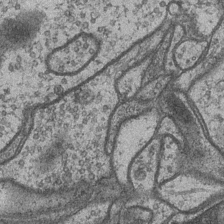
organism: Drosophila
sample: Optic medulla